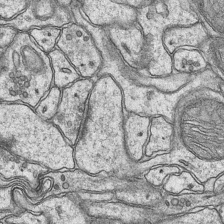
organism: Mouse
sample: CA1 Hippocampus